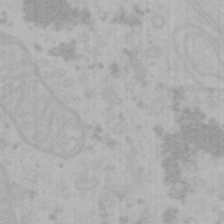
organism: Mouse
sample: Choroid plexus